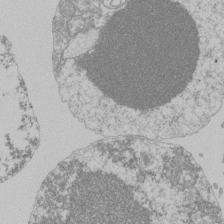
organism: Mouse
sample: Activated Pmel transgenic CD8+ T Cells